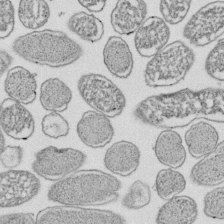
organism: E. coli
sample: Bacterial nucleoid